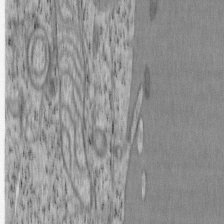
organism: Human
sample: HeLa cells